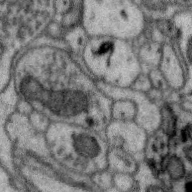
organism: Zebra finch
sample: Brain